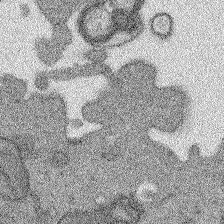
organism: Human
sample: HeLa cells